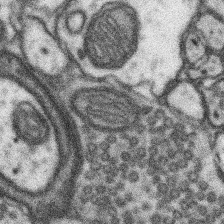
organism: Mouse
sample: Somatosensory cortex neuropil